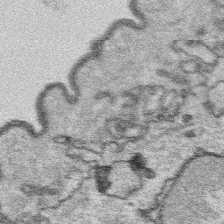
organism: Platynereis dumerilii